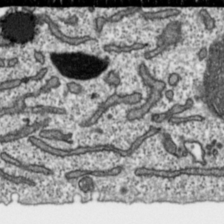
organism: Toxoplasma gondii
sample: Parasites in a vacuole inside a host cell